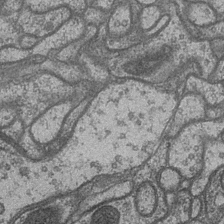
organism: Drosophila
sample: Optic medulla